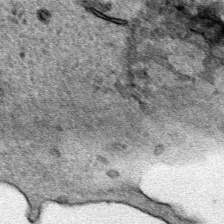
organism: Human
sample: Mitochondria in HCT116 cells